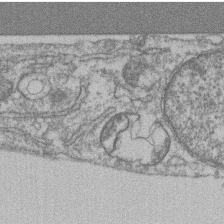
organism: Mouse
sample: T cell stromal cell synapse